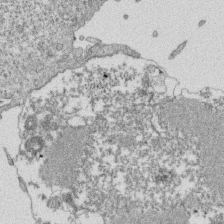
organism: Human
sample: HeLa cell HIV synapse